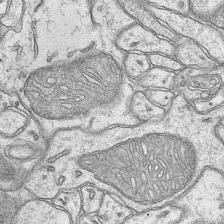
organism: Mouse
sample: CA1 Hippocampus